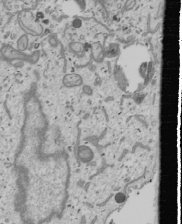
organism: Human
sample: Mitochondria in U2OS cells